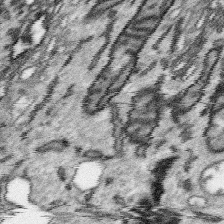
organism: Human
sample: HeLa cells